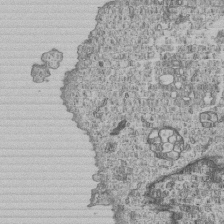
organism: Human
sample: MDA-MB-231 cells